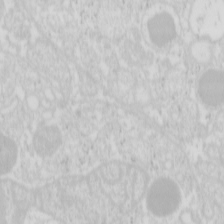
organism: Mouse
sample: Pancreas